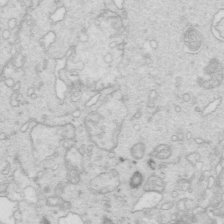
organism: Mouse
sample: Multiciliated cells